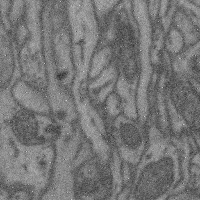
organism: Mouse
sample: Cerebral cortex